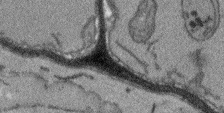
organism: Arabidopsis thaliana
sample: Root tip